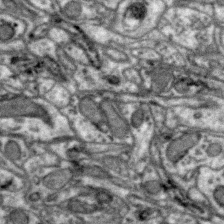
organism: Zebra finch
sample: Brain